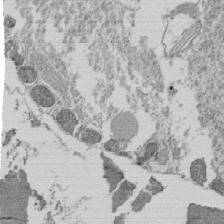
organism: Tetrahymena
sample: Cilia in tetrahymena